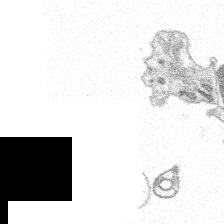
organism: Spongilla lacustris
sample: Multiple